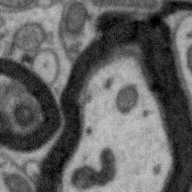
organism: Zebra finch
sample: Brain